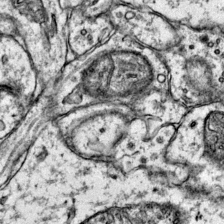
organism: Mouse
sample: Primary visual cortex